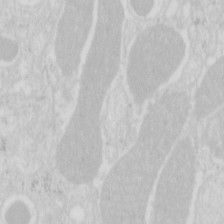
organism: Mouse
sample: Pancreas